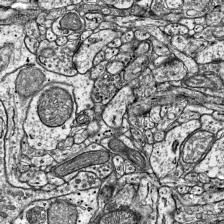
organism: Mouse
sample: Visual Cortex